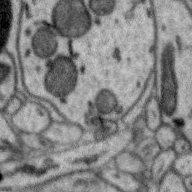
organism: Zebra finch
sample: Brain